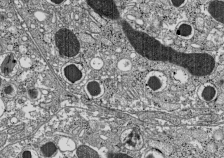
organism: C57BL Mouse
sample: Pancreatic islet